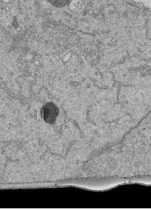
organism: Human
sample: Retinal organoid Rod and Cone cells